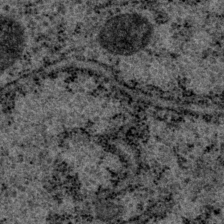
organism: P. pacificus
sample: Pharynx